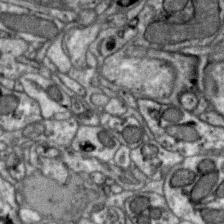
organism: Zebra finch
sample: Brain